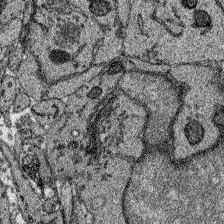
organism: Zebrafish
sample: Larval olfactory bulb